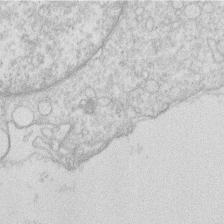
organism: Human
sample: Macrophage cells